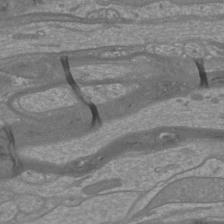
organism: Mouse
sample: Cortical neurons